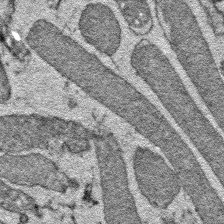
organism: E. coli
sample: E. Coli Bacteria